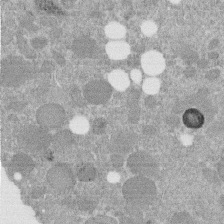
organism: C. elegans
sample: C. elegans embryo early stage